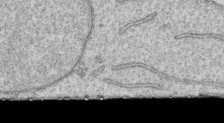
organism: Human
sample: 1205lu cells